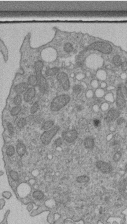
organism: Human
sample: Retinal organoid Rod and Cone cells